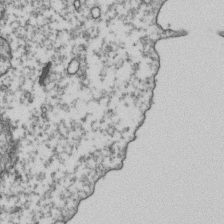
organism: Human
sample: Activated Jurkat CD4+ T cells